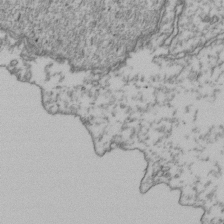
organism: Human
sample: Activated Jurkat CD4+ T cells